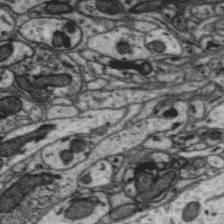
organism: Zebra finch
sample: Brain